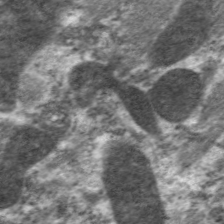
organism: C. elegans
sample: Pharynx